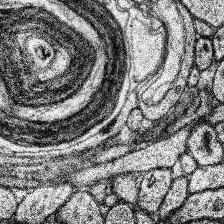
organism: Human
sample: Temporal Lobe